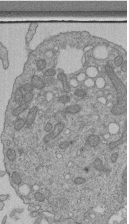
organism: Human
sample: Retinal organoid Rod and Cone cells